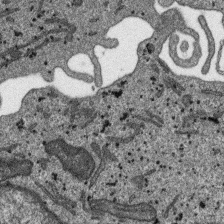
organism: Human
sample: Lung epithelial cells infected with SARS-CoV-2